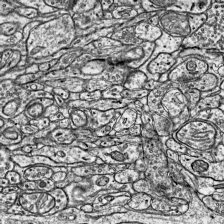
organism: Mouse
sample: Visual Cortex